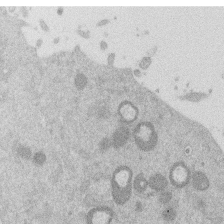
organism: Mouse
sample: Dividing mouse embryo 1 cell stage